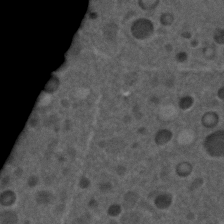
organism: C. elegans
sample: C. elegans embryo